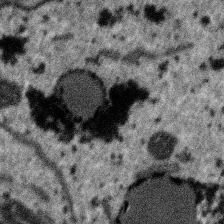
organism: Human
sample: Lung epithelial cells infected with SARS-CoV-2